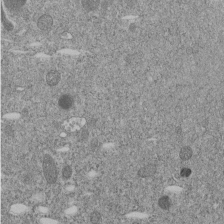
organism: C. elegans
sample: C. elegans embryo early stage